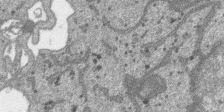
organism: Human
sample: Lung epithelial cells infected with SARS-CoV-2